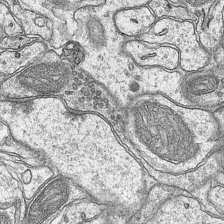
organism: Mouse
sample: CA1 Hippocampus